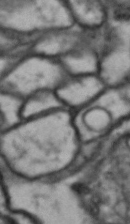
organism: Drosophila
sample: Brain